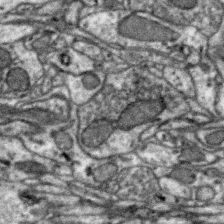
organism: Zebra finch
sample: Brain